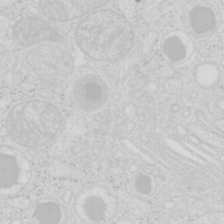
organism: Mouse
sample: Pancreas